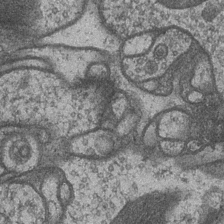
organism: Drosophila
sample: Optic medulla